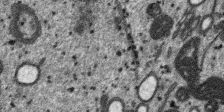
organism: Human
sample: Lung epithelial cells infected with SARS-CoV-2